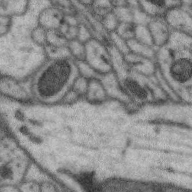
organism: Zebra finch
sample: Brain